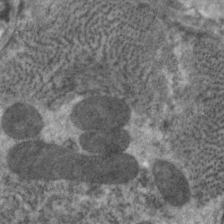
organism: C. elegans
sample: Pharynx